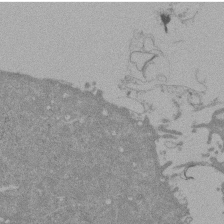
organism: Mouse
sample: ED-1 cell nuclei; centrioles